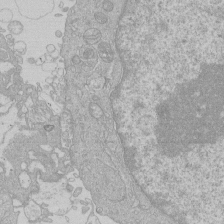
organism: Human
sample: Macrophage cells